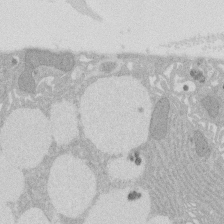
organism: Rat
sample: Salivary granule